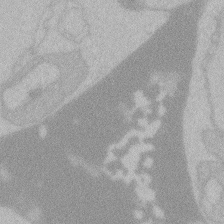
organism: Zebrafish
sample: Macrophage infected with Toxoplasma gondii